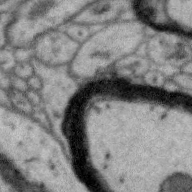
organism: Zebra finch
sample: Brain